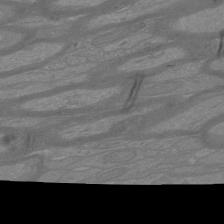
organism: Mouse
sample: Cortical neurons